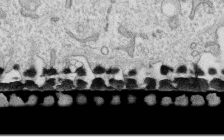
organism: Human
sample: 1205lu cells